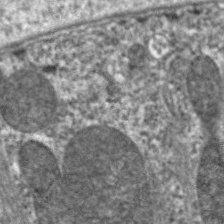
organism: C. elegans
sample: Pharynx